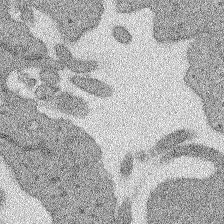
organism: Human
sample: HeLa cells